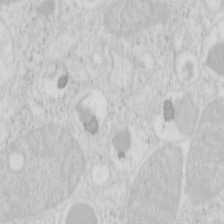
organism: Mouse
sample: Pancreas